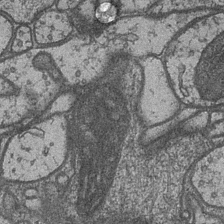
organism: Drosophila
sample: Optic medulla